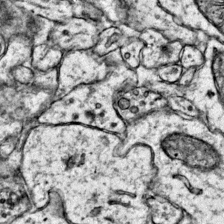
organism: Mouse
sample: Primary visual cortex